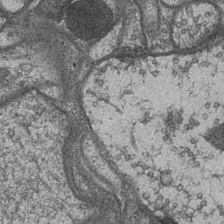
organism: Drosophila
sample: Optic medulla